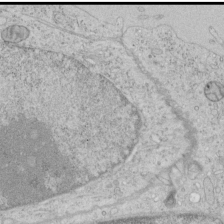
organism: Human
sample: Mitochondria in HCT116 cells